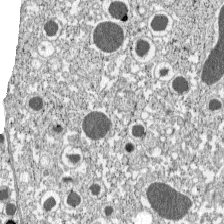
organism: C57BL Mouse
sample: Pancreatic islet